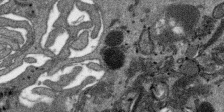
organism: Human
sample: Lung epithelial cells, uninfected (mock) control